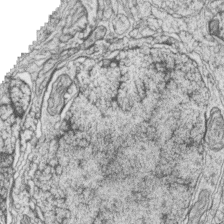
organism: Zebrafish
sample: synaptic ribbons in rod cells and cone cells